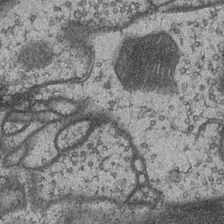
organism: Drosophila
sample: Optic medulla